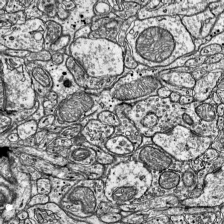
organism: Mouse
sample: Visual Cortex